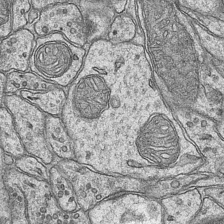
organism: Mouse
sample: CA1 Hippocampus